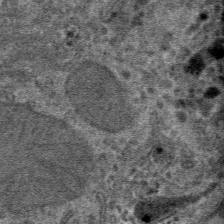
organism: Mouse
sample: Mouse hepatocytes